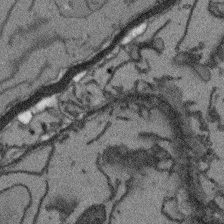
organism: Arabidopsis thaliana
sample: Root tip